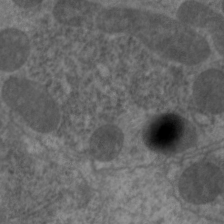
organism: C. elegans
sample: Pharynx